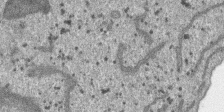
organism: Human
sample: Lung epithelial cells infected with SARS-CoV-2